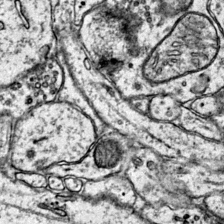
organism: Mouse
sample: Primary visual cortex